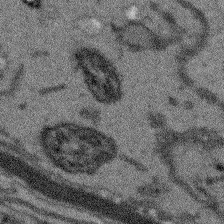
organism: Arabidopsis thaliana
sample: Root tip